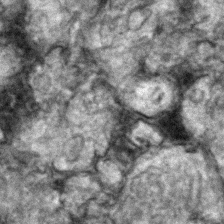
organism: Zebrafish